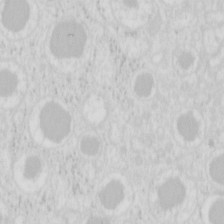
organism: Mouse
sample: Pancreas